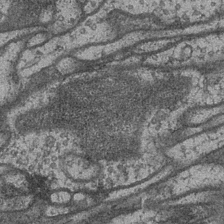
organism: Drosophila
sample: Optic medulla